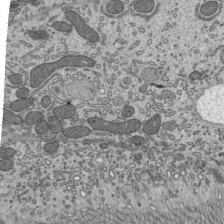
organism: Mouse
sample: Mouse epididymis efferent ductule cilia